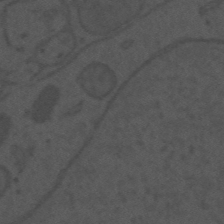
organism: Mouse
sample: Suprachiasmatic nucleus